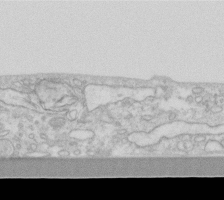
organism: Human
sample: Fibroblast cells